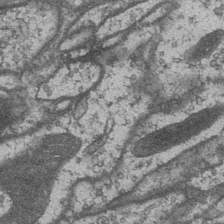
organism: Drosophila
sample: Optic medulla